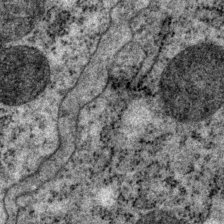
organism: P. pacificus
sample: Pharynx